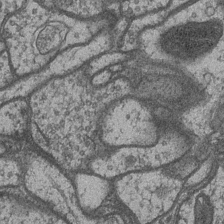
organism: Drosophila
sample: Optic medulla